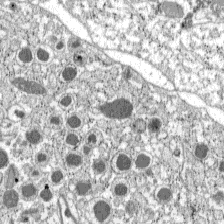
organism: C57BL Mouse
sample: Pancreatic islet